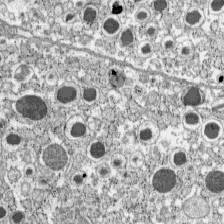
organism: C57BL Mouse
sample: Pancreatic islet